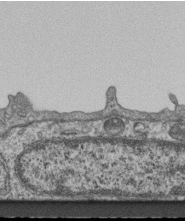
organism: Mouse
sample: Centriole in ependymal cells